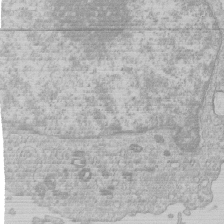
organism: Human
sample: Macrophage cells